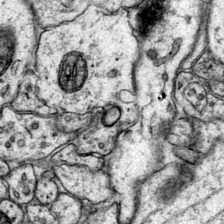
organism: Mouse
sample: Primary visual cortex